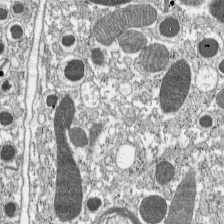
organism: C57BL Mouse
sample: Pancreatic islet